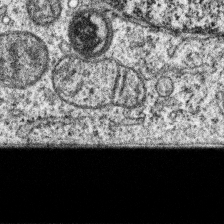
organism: Human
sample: HeLa cells